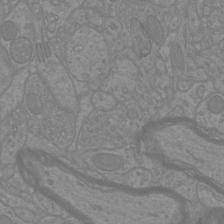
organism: Mouse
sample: Cortical neurons